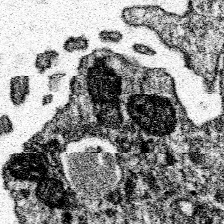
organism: Spongilla lacustris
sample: Neuroid cell